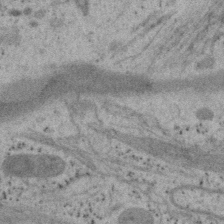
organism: Human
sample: HeLa cells